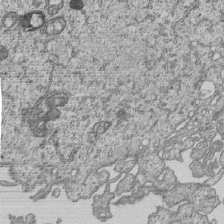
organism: Human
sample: MDA-MB-231 cells